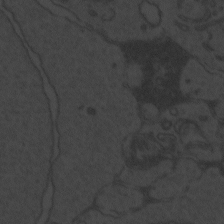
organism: Zebrafish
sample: Macrophage infected with Toxoplasma gondii